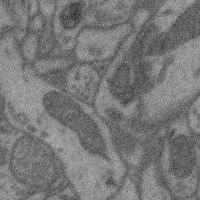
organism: Mouse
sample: Cerebral cortex